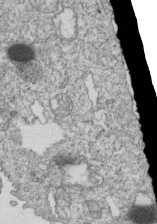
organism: Human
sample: HeLa cell HIV synapse